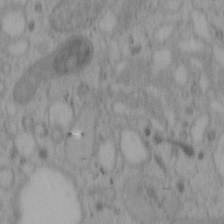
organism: Mouse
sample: OT-I killer T cells with ID8 ovarian cancer cells